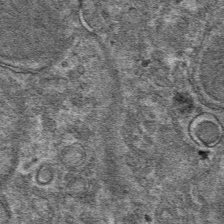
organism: Mouse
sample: Mouse hepatocytes